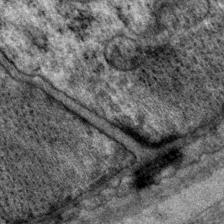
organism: P. pacificus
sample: Pharynx